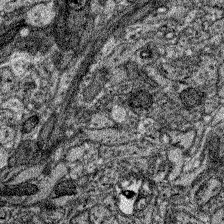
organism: Zebrafish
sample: Larval olfactory bulb